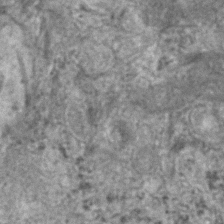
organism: Human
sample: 1205lu cells